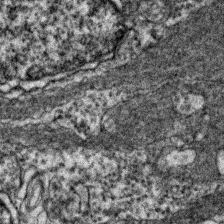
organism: Zebrafish